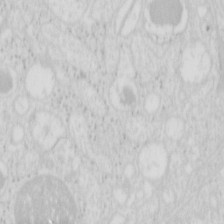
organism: Mouse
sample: Pancreas